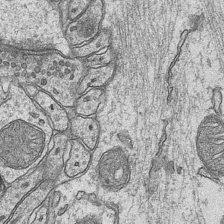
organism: Mouse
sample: CA1 Hippocampus